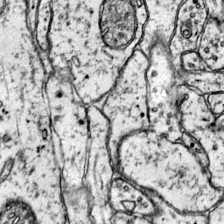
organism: Mouse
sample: Primary visual cortex